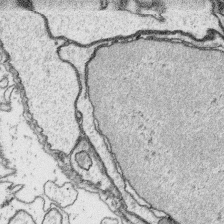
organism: Platynereis dumerilii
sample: Parapodia